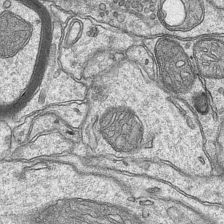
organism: Mouse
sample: CA1 Hippocampus